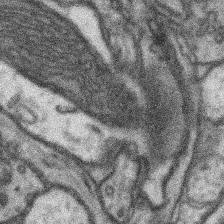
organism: Mouse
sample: Somatosensory cortex neuropil